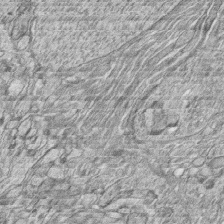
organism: Zebrafish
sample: synaptic ribbons in rod cells and cone cells